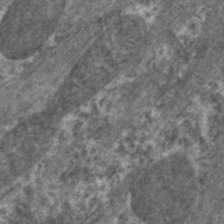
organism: C. elegans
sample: Pharynx